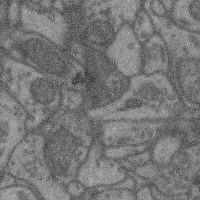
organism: Mouse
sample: Cerebral cortex